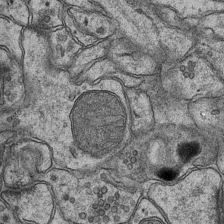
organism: Mouse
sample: CA1 Hippocampus